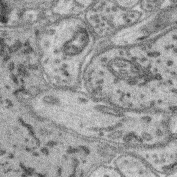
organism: Mouse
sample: Retina